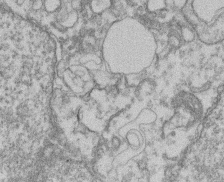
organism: Mouse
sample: T cell stromal cell synapse